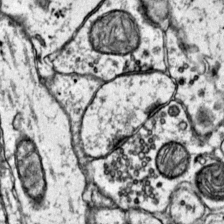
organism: Mouse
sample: Primary visual cortex